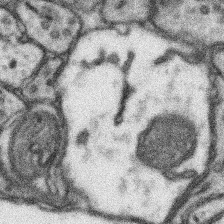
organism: Mouse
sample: Somatosensory cortex neuropil